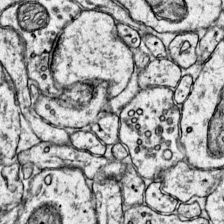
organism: Mouse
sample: Primary visual cortex